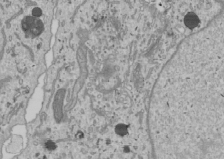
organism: Human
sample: Mitochondria in U2OS cells